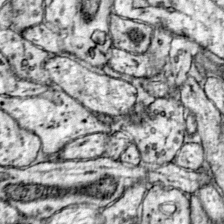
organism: Mouse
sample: Primary visual cortex